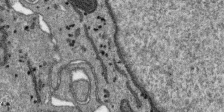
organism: Human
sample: Lung epithelial cells, uninfected (mock) control